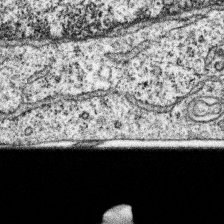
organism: Human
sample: HeLa cells